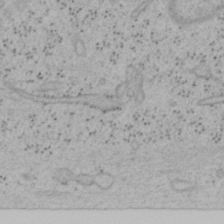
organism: Human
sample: HeLa cells